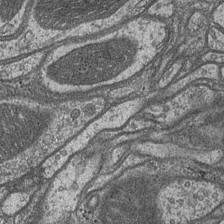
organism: Drosophila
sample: Optic medulla